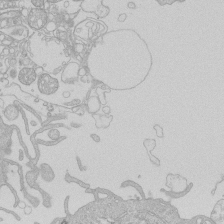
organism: Human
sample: Macrophage cells